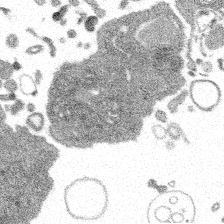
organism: Spongilla lacustris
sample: Multiple